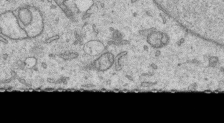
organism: Human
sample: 1205lu cells